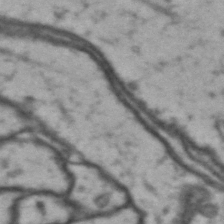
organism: Drosophila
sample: Brain